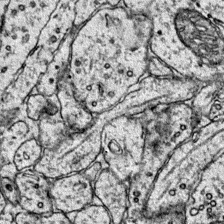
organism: Mouse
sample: Primary visual cortex